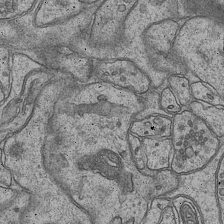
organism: Mouse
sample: CA1 Hippocampus